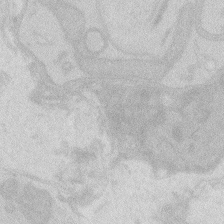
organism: Zebrafish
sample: Macrophage